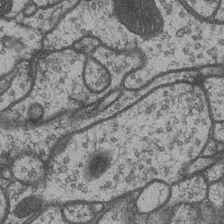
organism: Drosophila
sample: Optic medulla